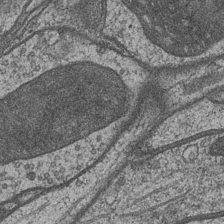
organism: Drosophila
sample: Optic medulla